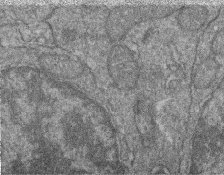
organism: Zebrafish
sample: Cilia; retinal pigment epithelium